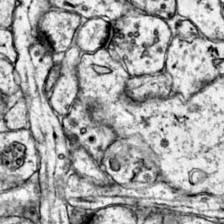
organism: Mouse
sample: Primary visual cortex